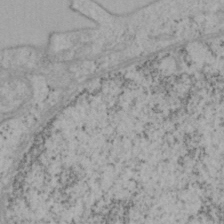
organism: Human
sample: HeLa cells